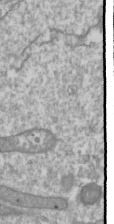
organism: Drosophila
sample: Cell division; meiosis; drosophila spermatocytes